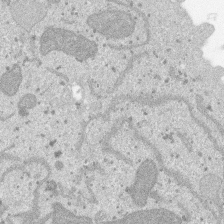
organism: Human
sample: Lung epithelial cells infected with SARS-CoV-2